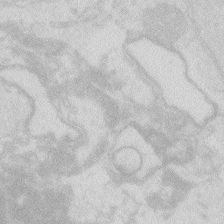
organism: Zebrafish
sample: Macrophage